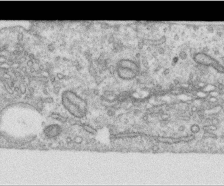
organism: Human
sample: Centriole in RPE cells